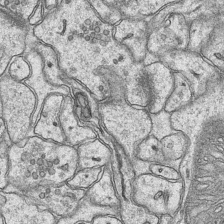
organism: Mouse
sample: CA1 Hippocampus